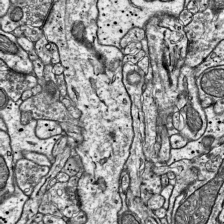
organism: Mouse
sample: Visual Cortex